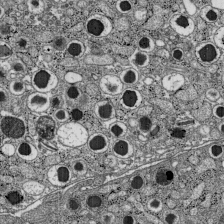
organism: C57BL Mouse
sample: Pancreatic islet